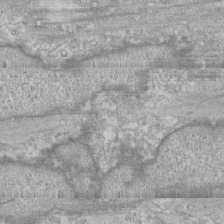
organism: Human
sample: CRL-1474